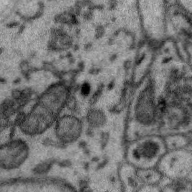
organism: Zebra finch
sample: Brain